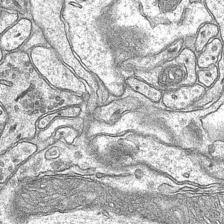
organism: Mouse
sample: CA1 Hippocampus